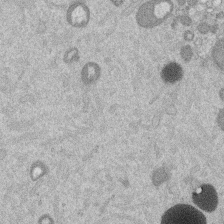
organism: Mouse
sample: Dividing mouse embryo 1 cell stage